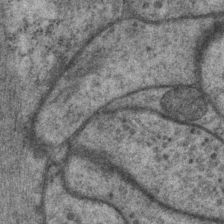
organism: P. pacificus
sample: Pharynx